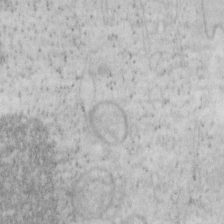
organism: Human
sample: HeLa cells